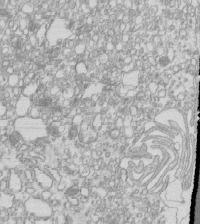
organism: Mouse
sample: Macrophages